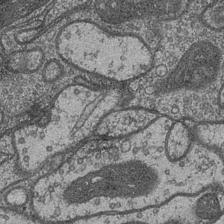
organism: Drosophila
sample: Optic medulla